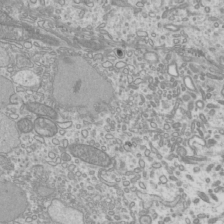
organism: Mouse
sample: Cilia; mouse epididymis